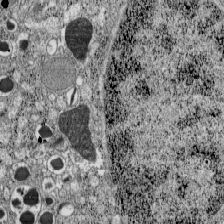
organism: C57BL Mouse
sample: Pancreatic islet